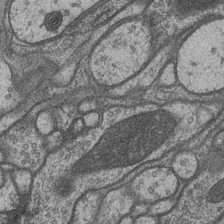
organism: Drosophila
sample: Optic medulla